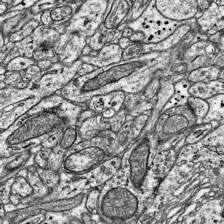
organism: Mouse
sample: Visual Cortex